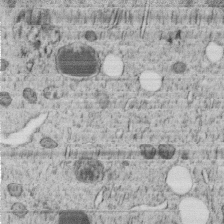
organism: C. elegans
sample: C. elegans embryo early stage